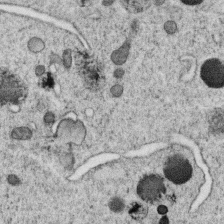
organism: C. elegans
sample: C. elegans oocyte; sperm cells